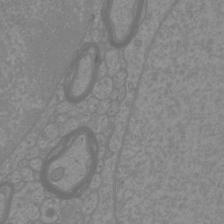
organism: Mouse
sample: Cortical neurons